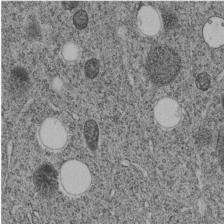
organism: C. elegans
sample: C. elegans embryo early stage